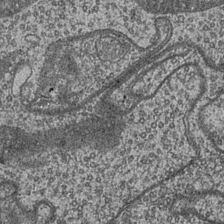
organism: Drosophila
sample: Optic medulla